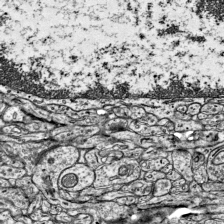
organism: Mouse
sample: Visual Cortex